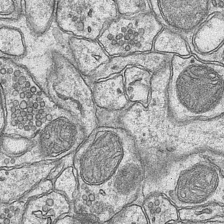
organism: Mouse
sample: CA1 Hippocampus